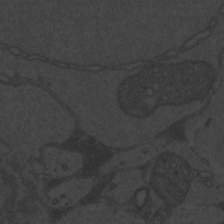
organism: Zebrafish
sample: Macrophage infected with Toxoplasma gondii